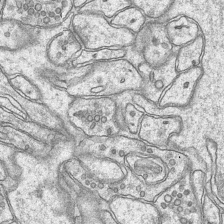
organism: Mouse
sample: CA1 Hippocampus